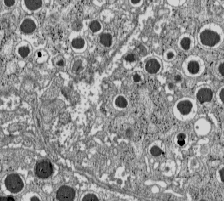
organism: C57BL Mouse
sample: Pancreatic islet